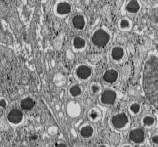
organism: C57BL Mouse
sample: Pancreatic islet